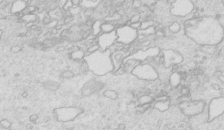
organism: Mouse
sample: Multiciliated cells